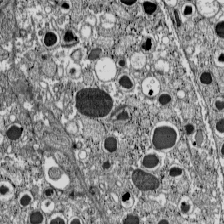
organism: C57BL Mouse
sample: Pancreatic islet